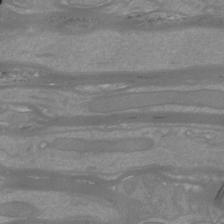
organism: Mouse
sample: Cortical neurons